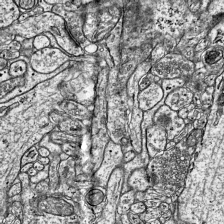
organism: Mouse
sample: Visual Cortex